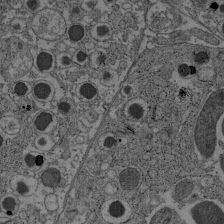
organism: C57BL Mouse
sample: Pancreatic islet